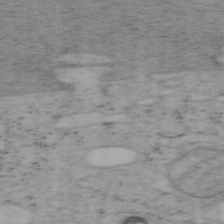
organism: Mouse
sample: OT-I killer T cells with ID8 ovarian cancer cells